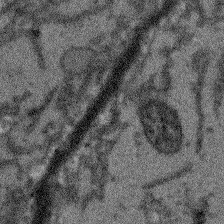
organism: Arabidopsis thaliana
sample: Root tip